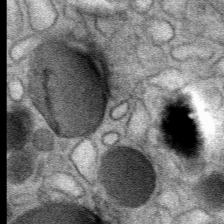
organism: Mouse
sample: Mouse Salivary gland